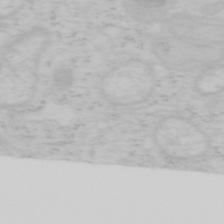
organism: Mouse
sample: OT-I killer T cells with ID8 ovarian cancer cells